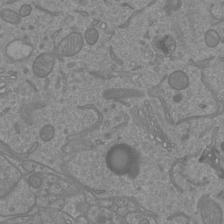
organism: Mouse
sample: Cortical neurons